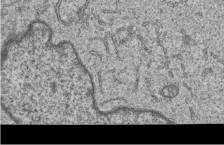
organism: Human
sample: MDA-MB-231 cells